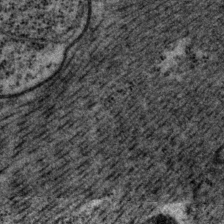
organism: P. pacificus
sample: Pharynx